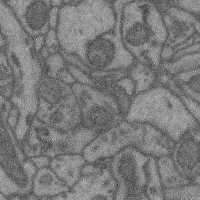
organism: Mouse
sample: Cerebral cortex